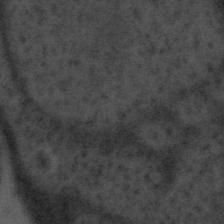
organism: Tuwongella immobilis